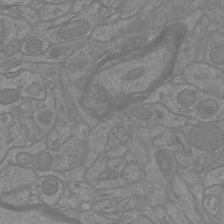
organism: Mouse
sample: Cortical neurons